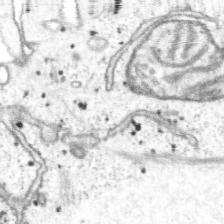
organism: Human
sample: HeLa cells